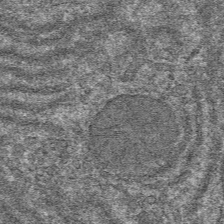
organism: Mouse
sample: Mouse hepatocytes